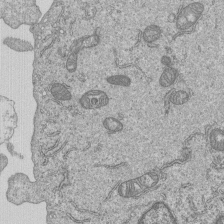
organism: Human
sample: MDA-MB-231 cells